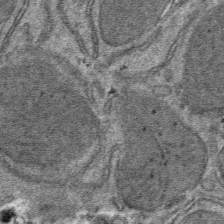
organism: Mouse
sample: Mouse hepatocytes